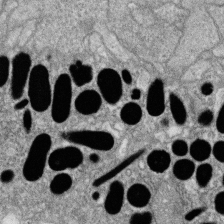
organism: Zebrafish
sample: Cilia; retinal pigment epithelium